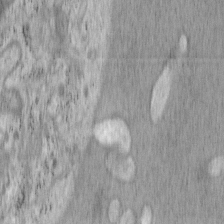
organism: Human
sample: HeLa cells